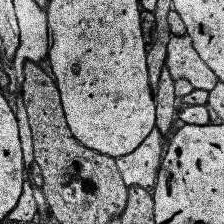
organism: Human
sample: Temporal Lobe